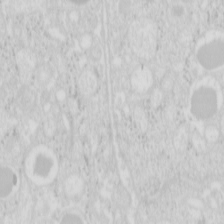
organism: Mouse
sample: Pancreas